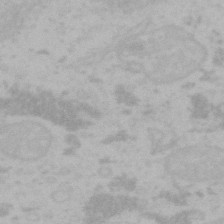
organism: Mouse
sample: Choroid plexus